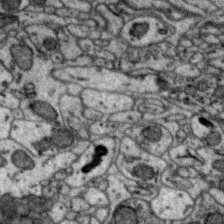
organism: Zebra finch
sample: Brain